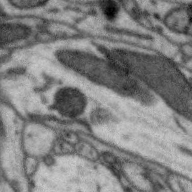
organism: Zebra finch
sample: Brain